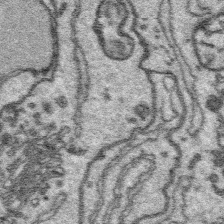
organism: Platynereis dumerilii